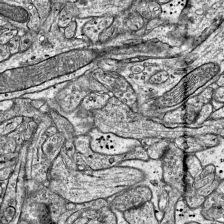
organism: Mouse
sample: Visual Cortex